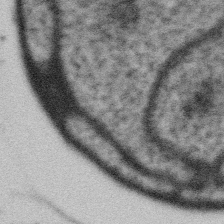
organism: Gemmata obscuriglobus